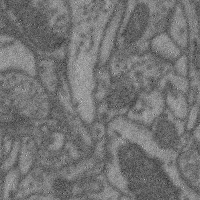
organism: Mouse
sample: Cerebral cortex